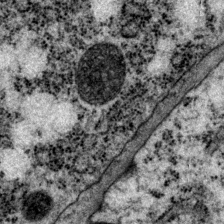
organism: P. pacificus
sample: Pharynx